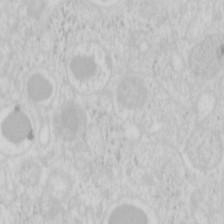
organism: Mouse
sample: Pancreas